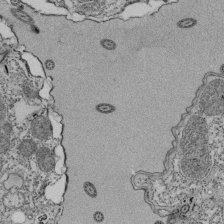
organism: Tetrahymena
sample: Cilia in tetrahymena